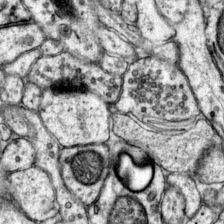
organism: Mouse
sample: Primary visual cortex